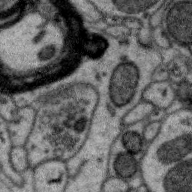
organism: Zebra finch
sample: Brain